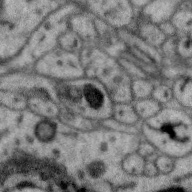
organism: Zebra finch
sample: Brain